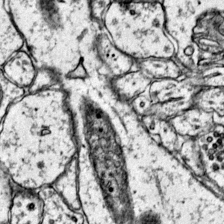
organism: Mouse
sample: Primary visual cortex